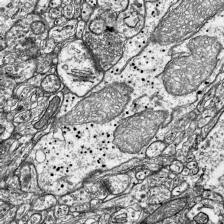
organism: Mouse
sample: Visual Cortex